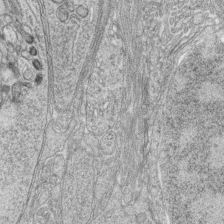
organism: Zebrafish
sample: synaptic ribbons in rod cells and cone cells